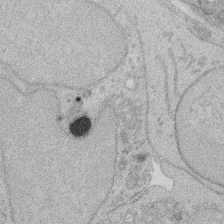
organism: Rat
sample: Salivary granule